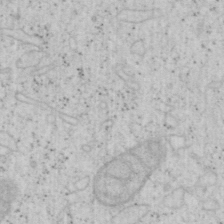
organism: Human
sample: HeLa cells